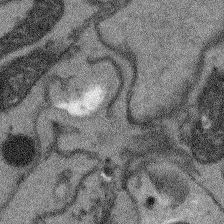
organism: Arabidopsis thaliana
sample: Root tip